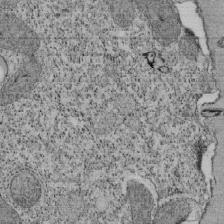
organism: Tetrahymena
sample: Cilia in tetrahymena